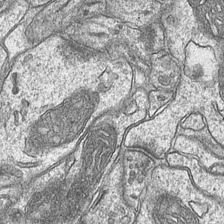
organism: Mouse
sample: CA1 Hippocampus